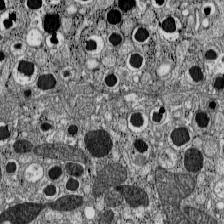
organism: C57BL Mouse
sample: Pancreatic islet